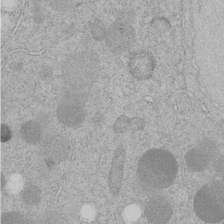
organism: C. elegans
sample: C. elegans embryo early stage